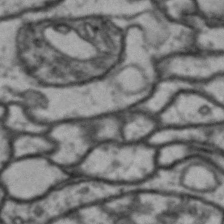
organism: Drosophila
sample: Brain